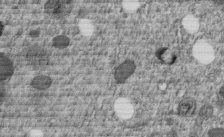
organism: C. elegans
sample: C. elegans embryo early stage